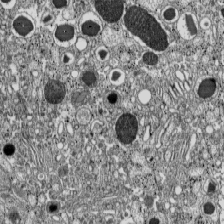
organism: C57BL Mouse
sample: Pancreatic islet